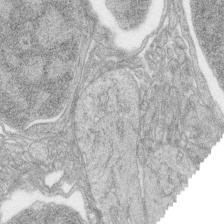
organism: Zebrafish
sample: synaptic ribbons in rod cells and cone cells